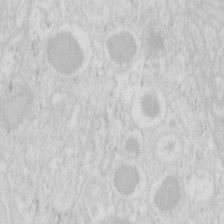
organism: Mouse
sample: Pancreas